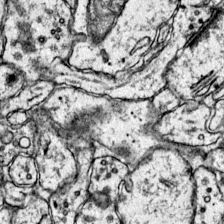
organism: Mouse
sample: Primary visual cortex